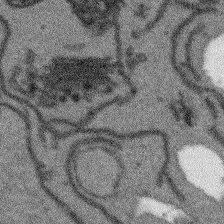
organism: Arabidopsis thaliana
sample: Root tip